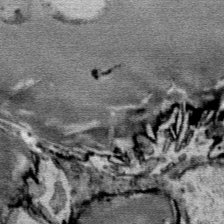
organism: Mouse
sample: Mouse Salivary gland